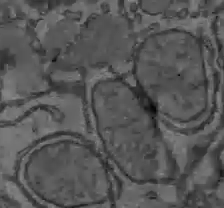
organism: C57BL Mouse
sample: Liver